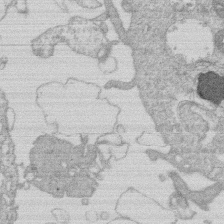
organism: Human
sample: Macrophage cells